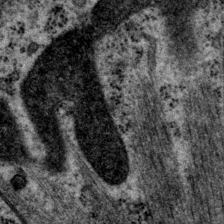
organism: P. pacificus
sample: Pharynx